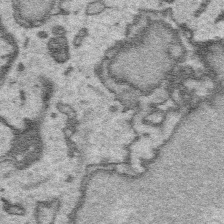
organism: Platynereis dumerilii